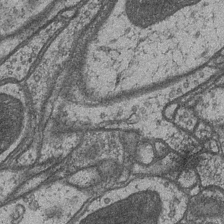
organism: Drosophila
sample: Optic medulla